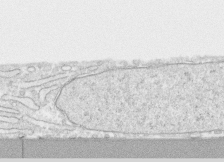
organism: Human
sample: CRL-1474